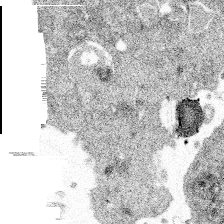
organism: Spongilla lacustris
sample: Multiple